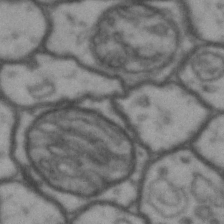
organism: Drosophila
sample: Brain